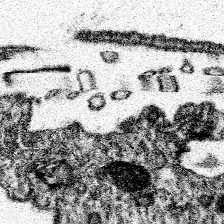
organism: Spongilla lacustris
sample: Neuroid cell